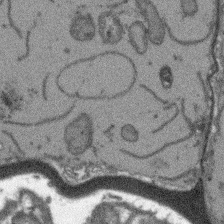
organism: Arabidopsis thaliana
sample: Root tip